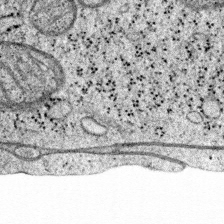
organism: Human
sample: HeLa cells